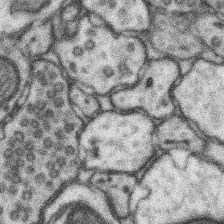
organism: Mouse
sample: Somatosensory cortex neuropil